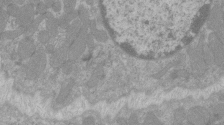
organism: C57BL Mouse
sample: Tibialis anterior muscle cell